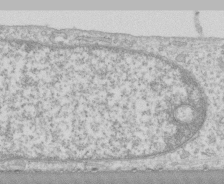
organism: Human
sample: CRL-1474